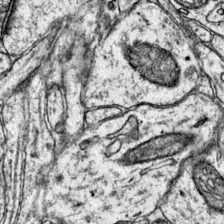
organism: Mouse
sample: Primary visual cortex